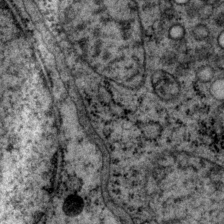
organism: P. pacificus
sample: Pharynx